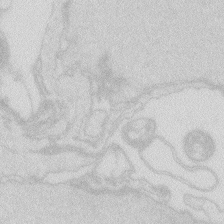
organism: Zebrafish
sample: Macrophage